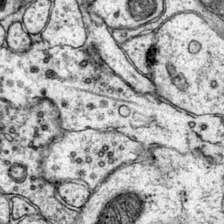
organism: Mouse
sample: Primary visual cortex